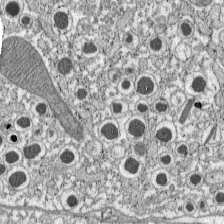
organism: C57BL Mouse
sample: Pancreatic islet